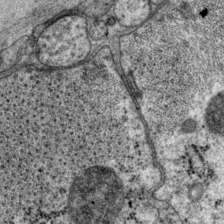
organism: P. pacificus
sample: Pharynx